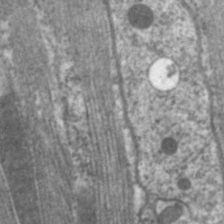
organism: C. elegans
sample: Pharynx